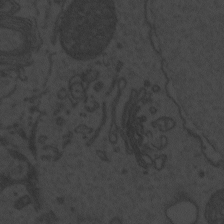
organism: Zebrafish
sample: Macrophage infected with Toxoplasma gondii